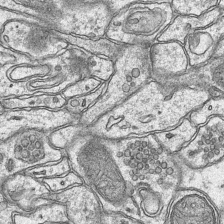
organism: Mouse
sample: CA1 Hippocampus